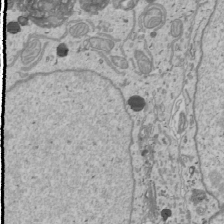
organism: Human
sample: Mitochondria in U2OS cells